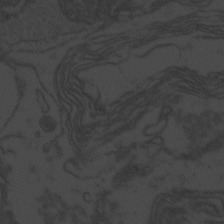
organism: Zebrafish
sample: Macrophage infected with Toxoplasma gondii